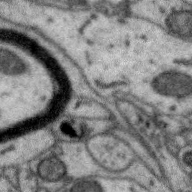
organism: Zebra finch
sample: Brain